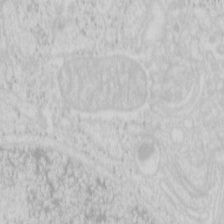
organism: Mouse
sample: Pancreas